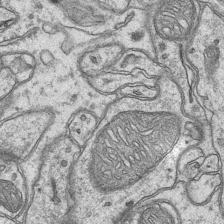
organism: Mouse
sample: CA1 Hippocampus